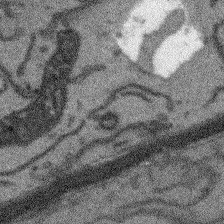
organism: Arabidopsis thaliana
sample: Root tip